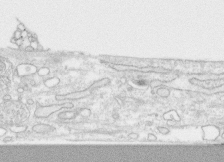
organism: Human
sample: CRL-1474